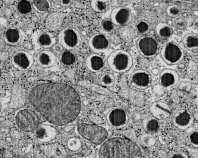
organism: C57BL Mouse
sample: Pancreatic islet